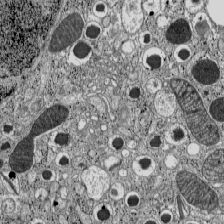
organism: C57BL Mouse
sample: Pancreatic islet